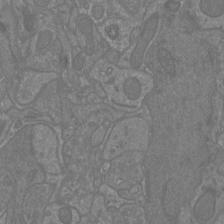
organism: Mouse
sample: Cortical neurons